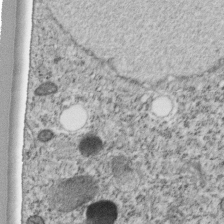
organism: C. elegans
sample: C. elegans embryo early stage